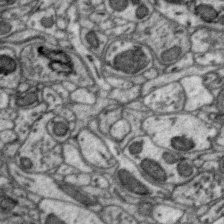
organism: Zebra finch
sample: Brain